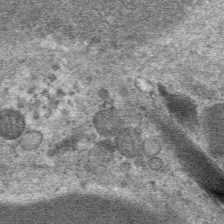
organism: Mouse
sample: Mouse hepatocytes